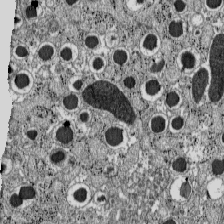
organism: C57BL Mouse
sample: Pancreatic islet